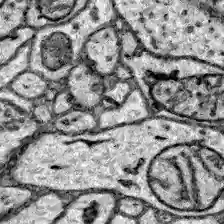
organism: Zebrafish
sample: Brain